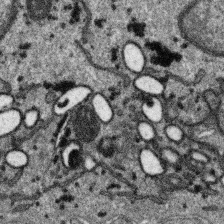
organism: Human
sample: Lung epithelial cells infected with SARS-CoV-2